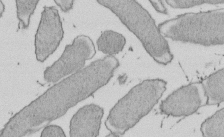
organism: E. coli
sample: Bacterial nucleoid